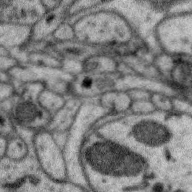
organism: Zebra finch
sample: Brain